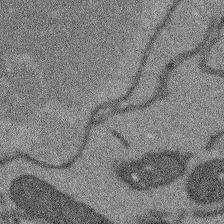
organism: Arabidopsis thaliana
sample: Root tip